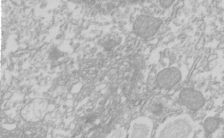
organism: Xenopus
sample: Cilia; centrioles in frog embryo cells